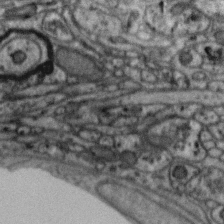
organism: Zebra finch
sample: Brain